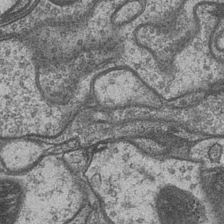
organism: Drosophila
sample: Optic medulla